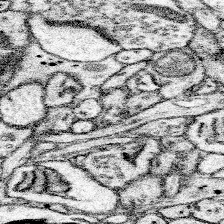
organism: Mouse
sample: Somatosensory cortex neuropil